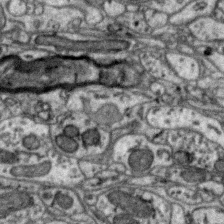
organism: Zebra finch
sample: Brain